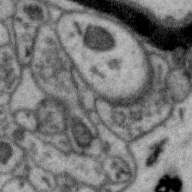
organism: Zebra finch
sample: Brain